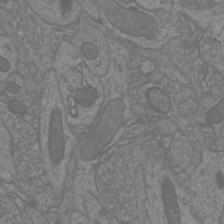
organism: Mouse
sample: Cortical neurons